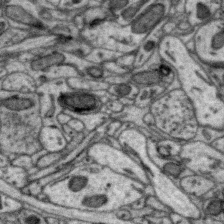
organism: Zebra finch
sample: Brain